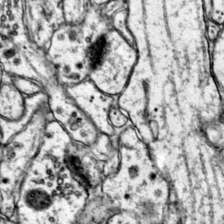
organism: Mouse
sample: Primary visual cortex